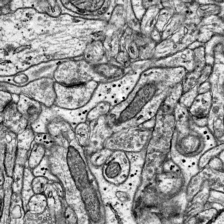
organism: Mouse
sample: Visual Cortex